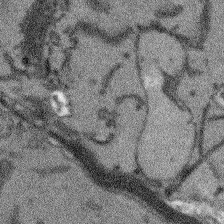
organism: Arabidopsis thaliana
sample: Root tip